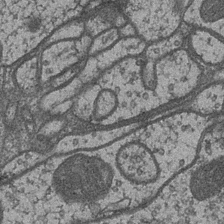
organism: Drosophila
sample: Optic medulla